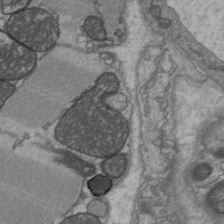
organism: C57BL Mouse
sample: Heart